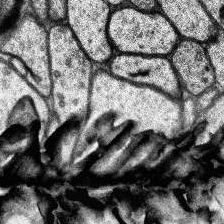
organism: Human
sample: Temporal Lobe